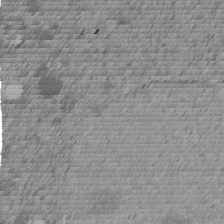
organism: C. elegans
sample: C. elegans embryo early stage